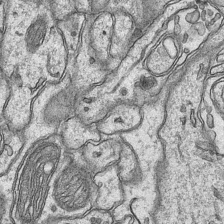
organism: Mouse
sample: CA1 Hippocampus